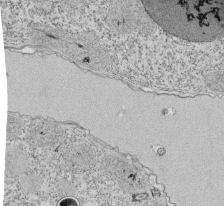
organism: Tetrahymena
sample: Cilia in tetrahymena